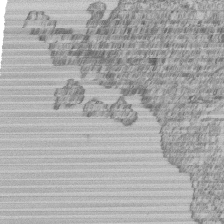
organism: Human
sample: MDA-MB-231 cells